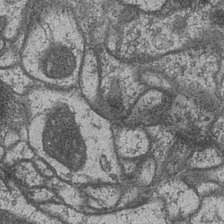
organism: Drosophila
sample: Optic medulla